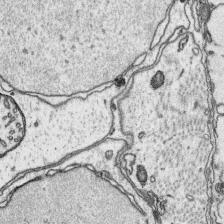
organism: Platynereis dumerilii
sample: Parapodia